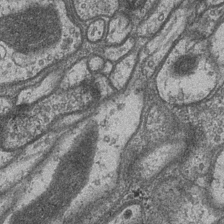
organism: Drosophila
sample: Optic medulla